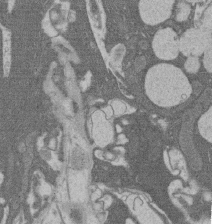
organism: Rat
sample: Salivary granule